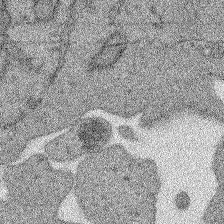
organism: Human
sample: HeLa cells